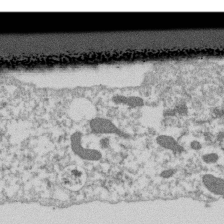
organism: Dictyostelium discoideum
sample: Dictyostelium multivesicular bodies